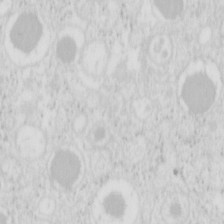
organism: Mouse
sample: Pancreas